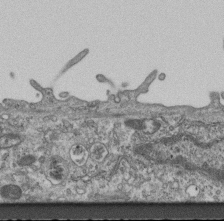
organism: Mouse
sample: Centriole in ependymal cells